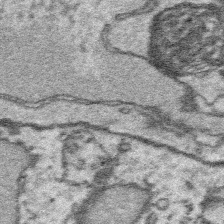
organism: Platynereis dumerilii